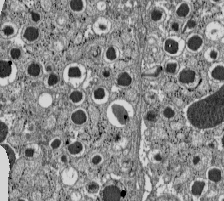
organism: C57BL Mouse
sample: Pancreatic islet